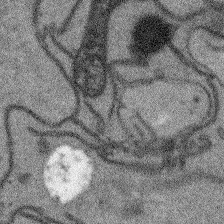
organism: Arabidopsis thaliana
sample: Root tip